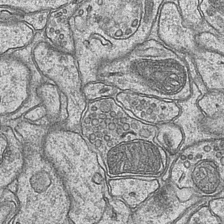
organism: Mouse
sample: CA1 Hippocampus